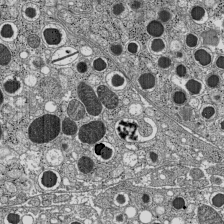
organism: C57BL Mouse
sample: Pancreatic islet